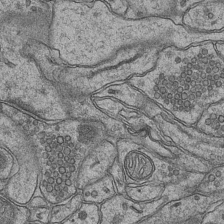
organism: Mouse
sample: CA1 Hippocampus